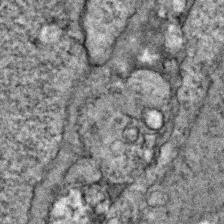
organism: Zebrafish